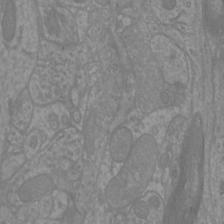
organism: Mouse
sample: Cortical neurons